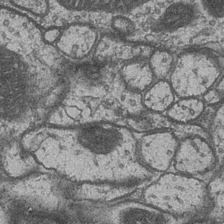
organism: Drosophila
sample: Optic medulla